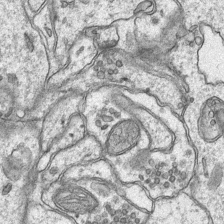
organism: Mouse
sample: CA1 Hippocampus